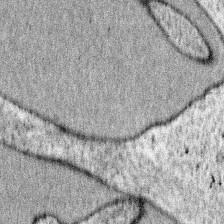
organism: Human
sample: HeLa cells